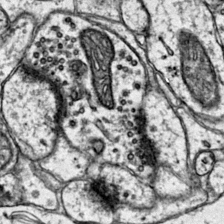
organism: Mouse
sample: Primary visual cortex